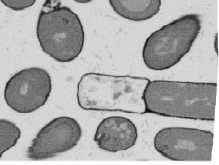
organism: B. subtilis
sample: Bacterial spore